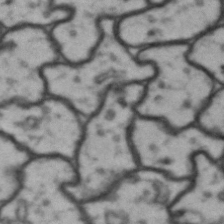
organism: Drosophila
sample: Brain